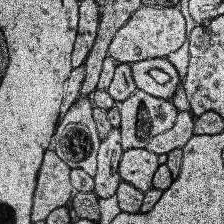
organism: Human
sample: Temporal Lobe